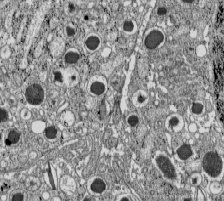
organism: C57BL Mouse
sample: Pancreatic islet